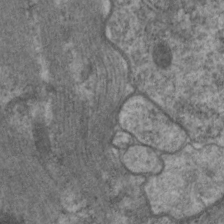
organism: C. elegans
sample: Pharynx